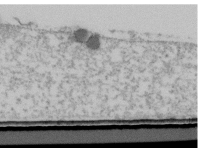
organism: Human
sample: U2-OS cells